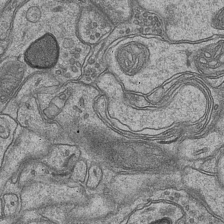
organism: Mouse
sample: CA1 Hippocampus